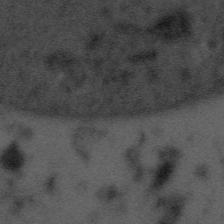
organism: Tuwongella immobilis